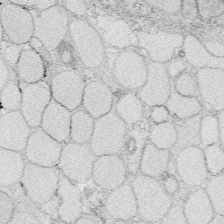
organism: Zebrafish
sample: Whole-Brain